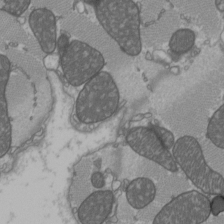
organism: C57BL Mouse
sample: Heart